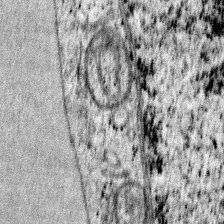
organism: Human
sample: HeLa cells